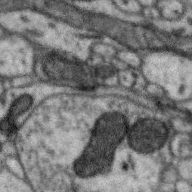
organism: Zebra finch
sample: Brain